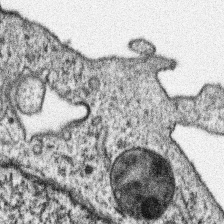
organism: Human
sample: HeLa cells